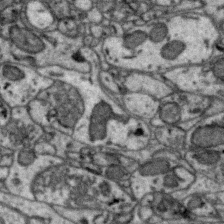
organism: Zebra finch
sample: Brain